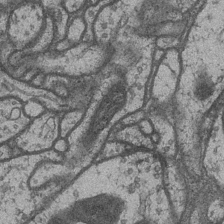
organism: Drosophila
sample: Optic medulla